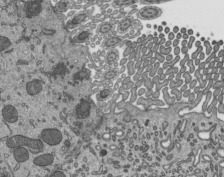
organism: Mouse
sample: Mouse epididymis efferent ductule cilia